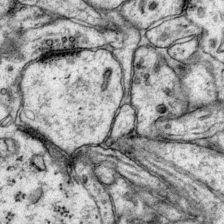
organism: Mouse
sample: Primary visual cortex